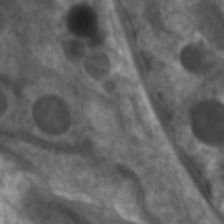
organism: C. elegans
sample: Pharynx